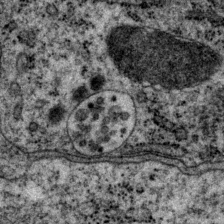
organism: P. pacificus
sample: Pharynx